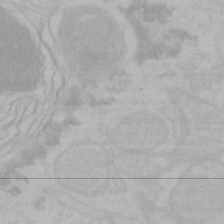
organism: Mouse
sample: Choroid plexus